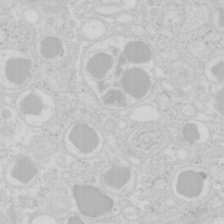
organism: Mouse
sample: Pancreas